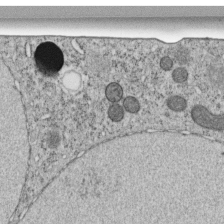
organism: C. elegans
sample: C. elegans embryo early stage